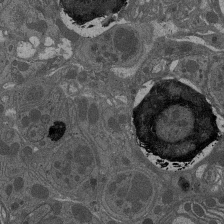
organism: Drosophila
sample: Antenna